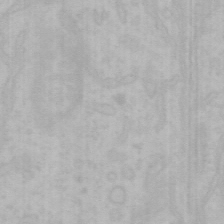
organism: Mouse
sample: Choroid plexus